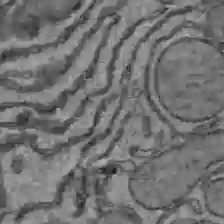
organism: C57BL Mouse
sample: Liver